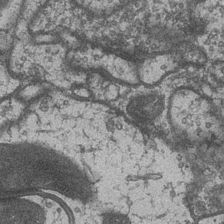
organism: Drosophila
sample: Optic medulla